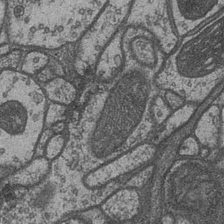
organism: Drosophila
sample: Optic medulla